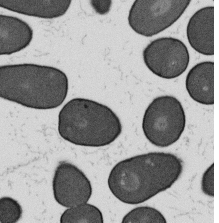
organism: B. subtilis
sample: Bacterial spore